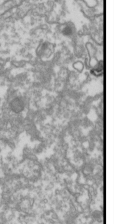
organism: Drosophila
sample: Cell division; meiosis; drosophila spermatocytes